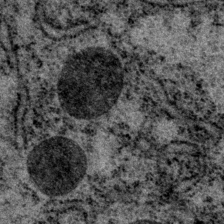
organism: P. pacificus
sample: Pharynx